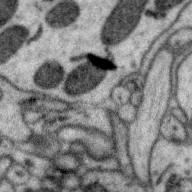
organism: Zebra finch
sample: Brain